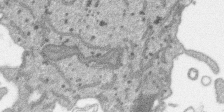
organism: Human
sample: Lung epithelial cells infected with SARS-CoV-2